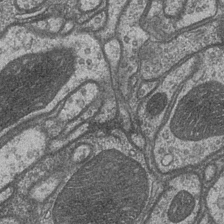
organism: Drosophila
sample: Optic medulla